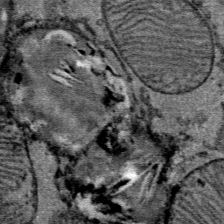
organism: Mouse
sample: Mouse Salivary gland